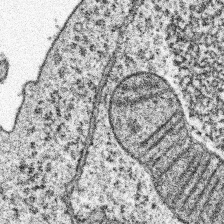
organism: Human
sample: HeLa cells